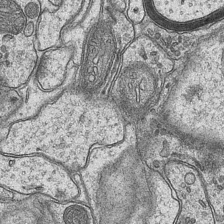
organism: Mouse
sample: CA1 Hippocampus